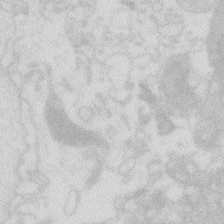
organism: Zebrafish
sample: Macrophage